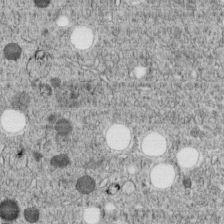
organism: C. elegans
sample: C. elegans embryo early stage